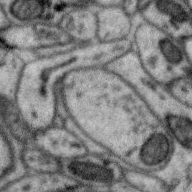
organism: Zebra finch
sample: Brain